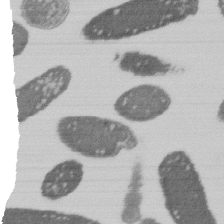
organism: E. coli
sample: Bacterial nucleoid